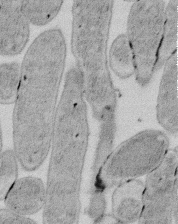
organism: E. coli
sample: Bacterial nucleoid